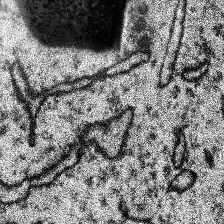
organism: Human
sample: Temporal Lobe